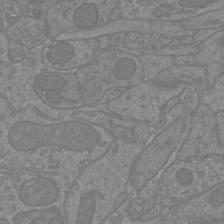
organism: Mouse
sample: Cortical neurons